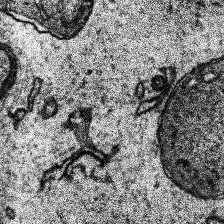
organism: Human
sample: Temporal Lobe